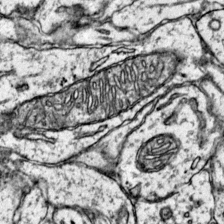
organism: Mouse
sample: Primary visual cortex